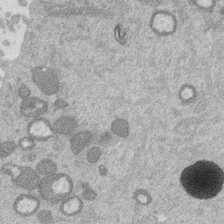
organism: Mouse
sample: Dividing mouse embryo 1 cell stage